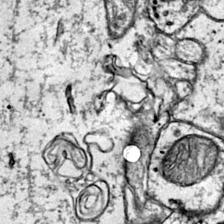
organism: Mouse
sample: Primary visual cortex